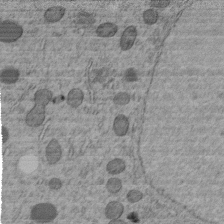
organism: C. elegans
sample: C. elegans embryo early stage